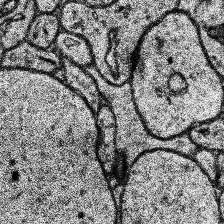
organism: Human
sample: Temporal Lobe